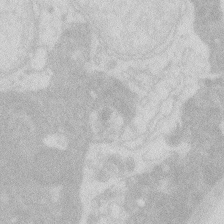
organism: Zebrafish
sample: Macrophage